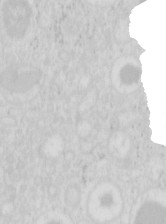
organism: Mouse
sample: Pancreas